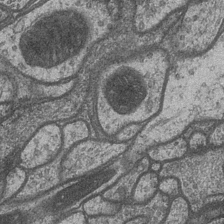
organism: Drosophila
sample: Optic medulla